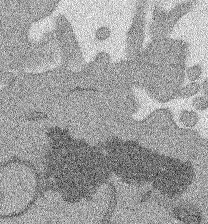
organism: Human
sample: HeLa cells